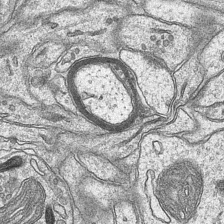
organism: Mouse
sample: CA1 Hippocampus